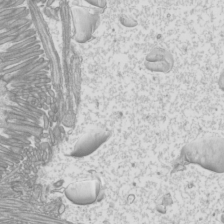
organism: Mouse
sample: Cilia; mouse epididymis